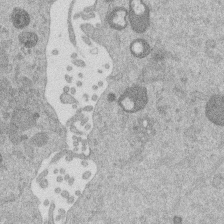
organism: Mouse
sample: Dividing mouse embryo 1 cell stage